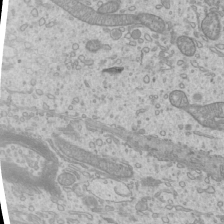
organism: Mouse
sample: Cilia; mouse epididymis